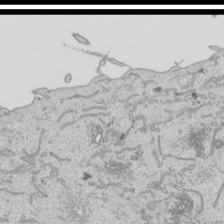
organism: Human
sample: Mitochondria in HCT116 cells